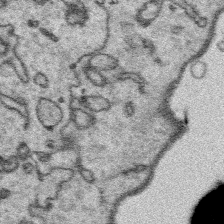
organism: Platynereis dumerilii